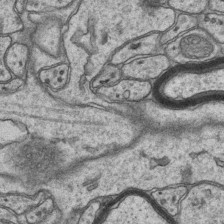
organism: Mouse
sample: CA1 Hippocampus